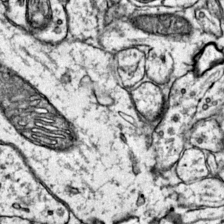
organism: Mouse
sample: Primary visual cortex